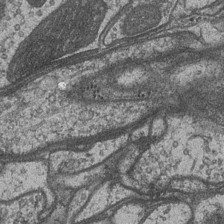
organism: Drosophila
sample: Optic medulla